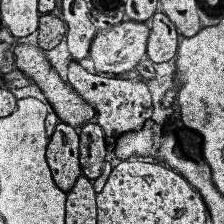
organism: Human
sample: Temporal Lobe